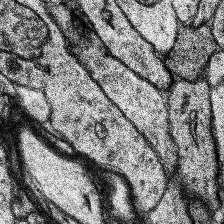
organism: Human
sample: Temporal Lobe